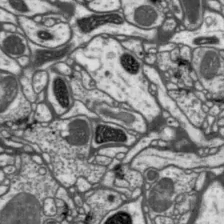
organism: Drosophila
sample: Protocerebral bridge